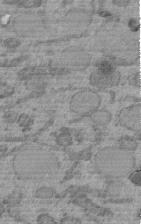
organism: C. elegans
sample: C. elegans embryo early stage